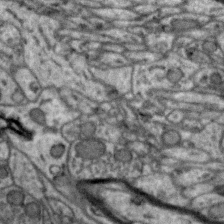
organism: Zebra finch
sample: Brain